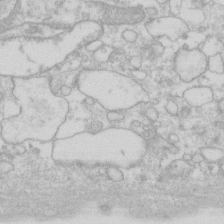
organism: Human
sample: Fibroblast cells